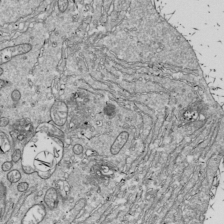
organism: Drosophila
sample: Cell division; meiosis; drosophila spermatocytes